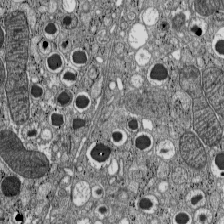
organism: C57BL Mouse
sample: Pancreatic islet